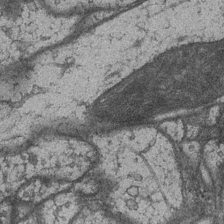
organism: Drosophila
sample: Optic medulla